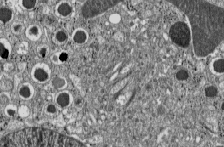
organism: C57BL Mouse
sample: Pancreatic islet